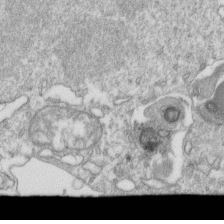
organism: Mouse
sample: Activated OT-1 CD8+ T cells